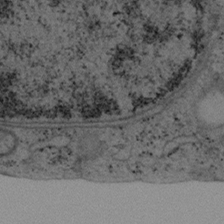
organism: Human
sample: HeLa cells